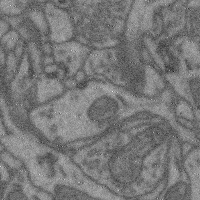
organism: Mouse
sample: Cerebral cortex